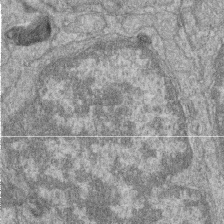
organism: Zebrafish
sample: Cilia; retinal pigment epithelium